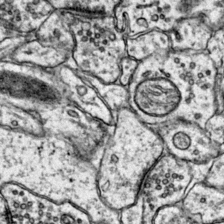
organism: Mouse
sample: Primary visual cortex